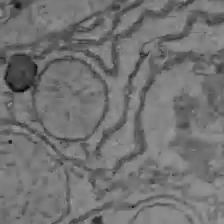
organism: C57BL Mouse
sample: Liver